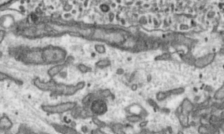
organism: Toxoplasma gondii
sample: Parasites in a vacuole inside a host cell